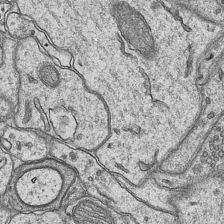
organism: Mouse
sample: CA1 Hippocampus